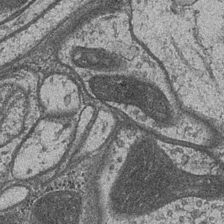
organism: Drosophila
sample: Optic medulla